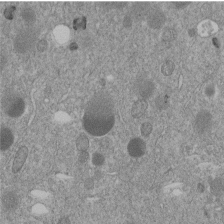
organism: C. elegans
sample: C. elegans embryo early stage